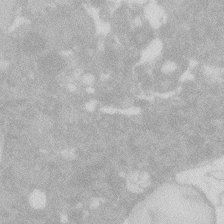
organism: Zebrafish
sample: Macrophage